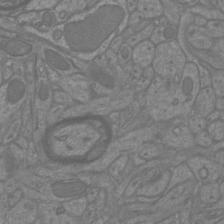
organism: Mouse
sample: Cortical neurons